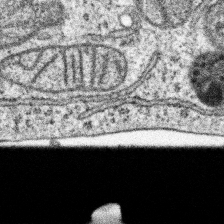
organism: Human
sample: HeLa cells